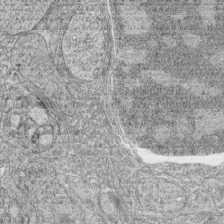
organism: Zebrafish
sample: synaptic ribbons in rod cells and cone cells